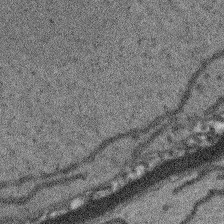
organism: Arabidopsis thaliana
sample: Root tip